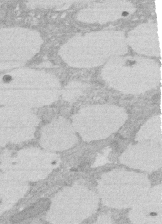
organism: Rat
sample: Salivary granule